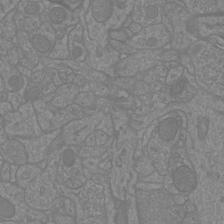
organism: Mouse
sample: Cortical neurons